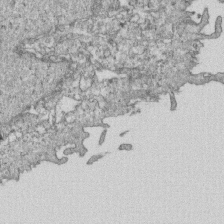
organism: Human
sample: HeLa cell HIV synapse